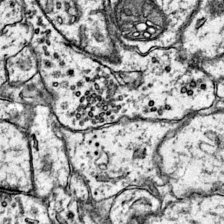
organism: Mouse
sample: Primary visual cortex